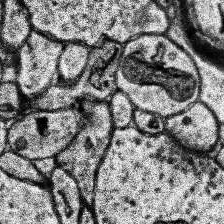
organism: Human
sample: Temporal Lobe